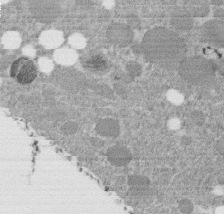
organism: C. elegans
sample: C. elegans embryo early stage